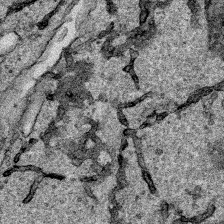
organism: Human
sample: Mitochondria in HCT116 cells